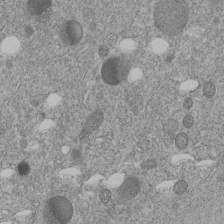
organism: C. elegans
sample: C. elegans embryo early stage